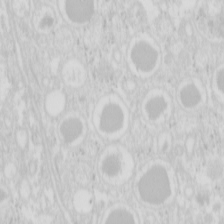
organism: Mouse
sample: Pancreas